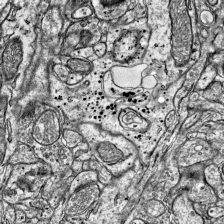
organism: Mouse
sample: Visual Cortex